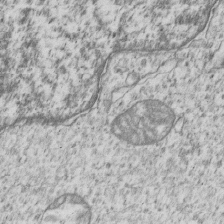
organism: Human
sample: MDA-MB-231 cells